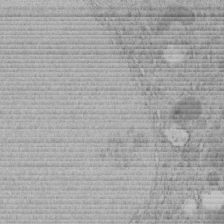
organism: C. elegans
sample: C. elegans embryo early stage